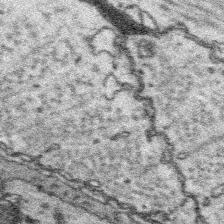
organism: Platynereis dumerilii